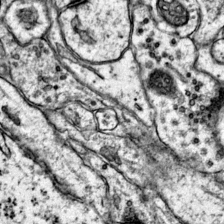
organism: Mouse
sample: Primary visual cortex